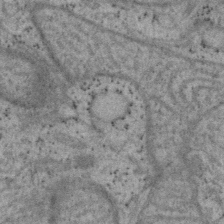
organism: Human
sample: HeLa cells